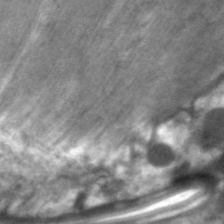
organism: C. elegans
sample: Pharynx